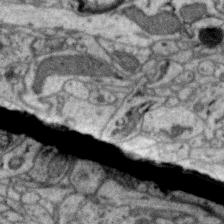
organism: Zebra finch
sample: Brain